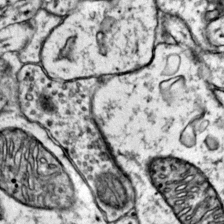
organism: Mouse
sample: Primary visual cortex